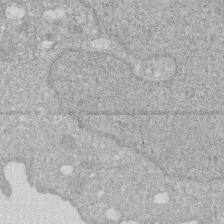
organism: Human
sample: HIV infected U937 cells